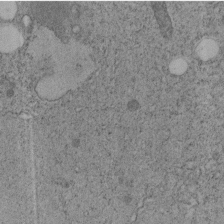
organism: C. elegans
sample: C. elegans embryo early stage